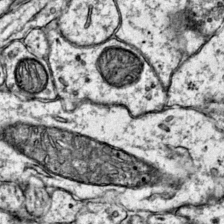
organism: Mouse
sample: Primary visual cortex